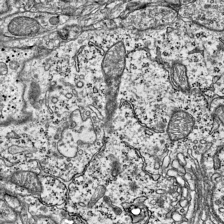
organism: Mouse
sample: Visual Cortex